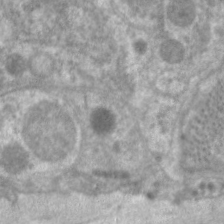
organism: C. elegans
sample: Pharynx